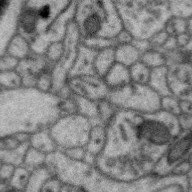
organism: Zebra finch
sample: Brain